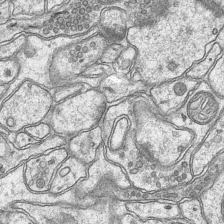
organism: Mouse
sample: CA1 Hippocampus